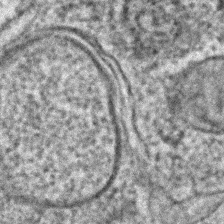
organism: C. elegans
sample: C. elegans embryo